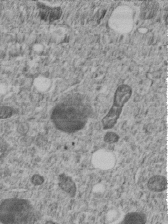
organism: C. elegans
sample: C. elegans embryo early stage